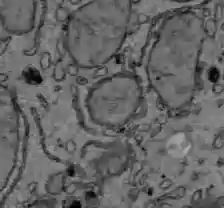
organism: C57BL Mouse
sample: Liver